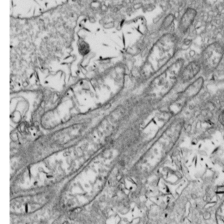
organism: Drosophila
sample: Cell division; meiosis; drosophila spermatocytes